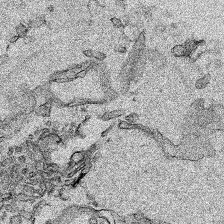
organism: Human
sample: Mitochondria in HCT116 cells